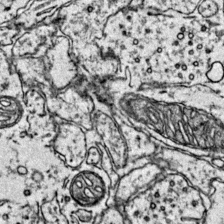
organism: Mouse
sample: Primary visual cortex